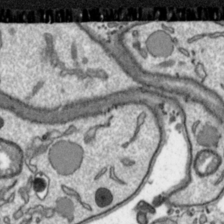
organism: Toxoplasma gondii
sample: Parasites in a vacuole inside a host cell